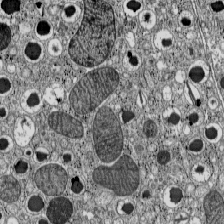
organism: C57BL Mouse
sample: Pancreatic islet